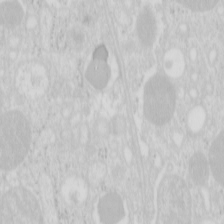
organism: Mouse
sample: Pancreas